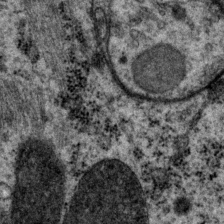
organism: P. pacificus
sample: Pharynx